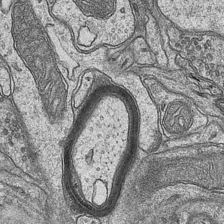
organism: Mouse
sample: CA1 Hippocampus